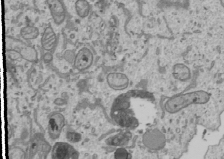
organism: Human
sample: Mitochondria in U2OS cells